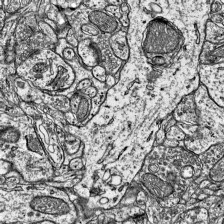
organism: Mouse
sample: Visual Cortex